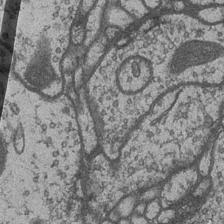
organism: Drosophila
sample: Optic medulla